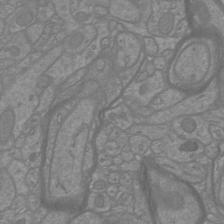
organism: Mouse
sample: Cortical neurons